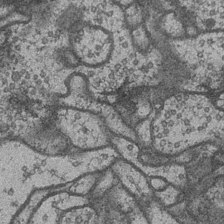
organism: Drosophila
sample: Optic medulla